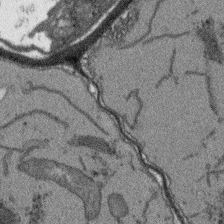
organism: Arabidopsis thaliana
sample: Root tip